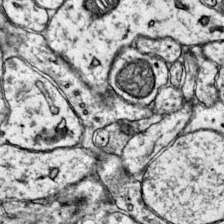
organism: Mouse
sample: Primary visual cortex